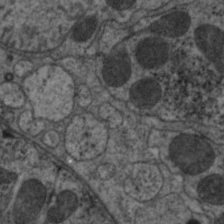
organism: C. elegans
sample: Pharynx